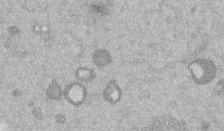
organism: Mouse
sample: Dividing mouse embryo 1 cell stage